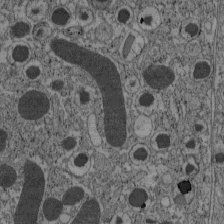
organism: C57BL Mouse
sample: Pancreatic islet